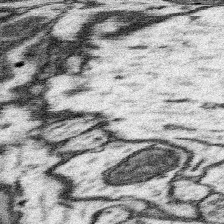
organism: Mouse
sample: Somatosensory cortex neuropil